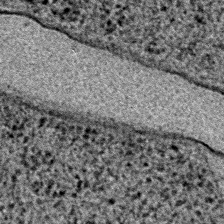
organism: E. coli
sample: E. Coli Bacteria